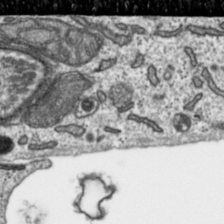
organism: Toxoplasma gondii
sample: Parasites in a vacuole inside a host cell